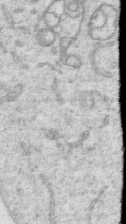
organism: Human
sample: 1205lu cells